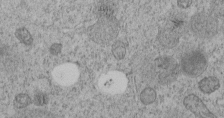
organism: C. elegans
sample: C. elegans embryo early stage